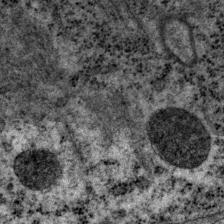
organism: P. pacificus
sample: Pharynx